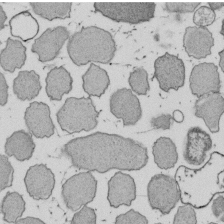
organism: E. coli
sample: Bacterial nucleoid